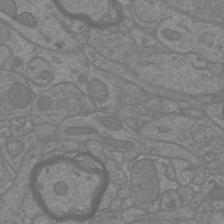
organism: Mouse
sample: Cortical neurons